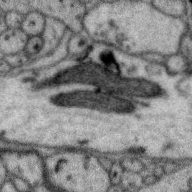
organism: Zebra finch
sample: Brain